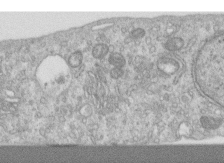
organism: Human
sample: Centriole in RPE cells